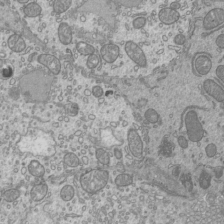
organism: Mouse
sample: Cilia; mouse epididymis